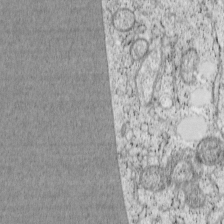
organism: African green monkey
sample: COS-7 cells